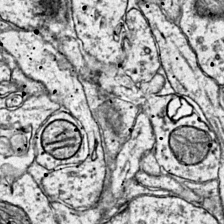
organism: Mouse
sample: Primary visual cortex